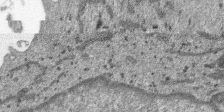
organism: Human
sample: Lung epithelial cells infected with SARS-CoV-2